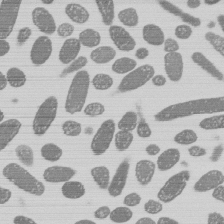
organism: E. coli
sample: Bacterial nucleoid